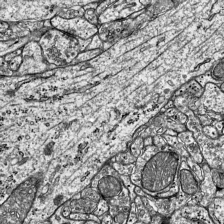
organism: Mouse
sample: Visual Cortex